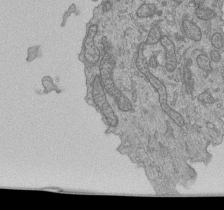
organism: Human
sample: Retinal organoid Rod and Cone cells